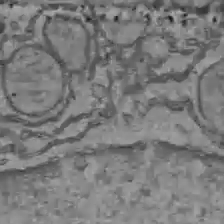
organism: C57BL Mouse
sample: Liver